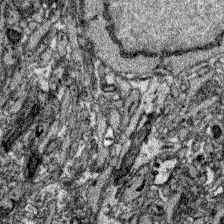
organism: Zebrafish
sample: Larval olfactory bulb